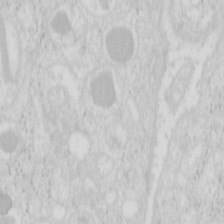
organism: Mouse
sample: Pancreas